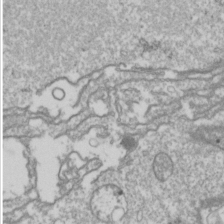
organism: Drosophila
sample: Cell division; meiosis; drosophila spermatocytes